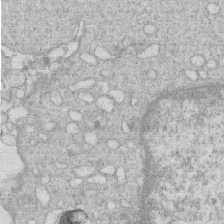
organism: Human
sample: Macrophage cells